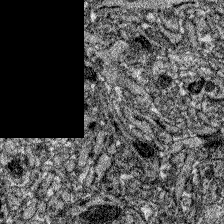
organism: Zebrafish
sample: Larval olfactory bulb